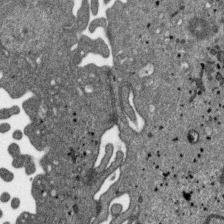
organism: Human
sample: Lung epithelial cells, uninfected (mock) control